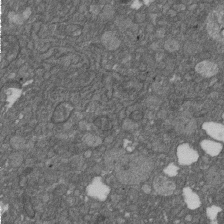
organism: Drosophila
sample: Nephrocyte